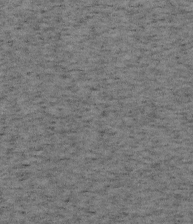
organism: Mouse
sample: OT-I killer T cells with ID8 ovarian cancer cells